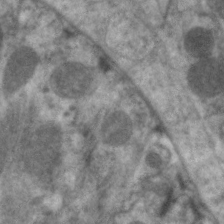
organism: C. elegans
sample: Pharynx